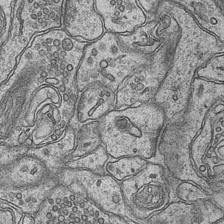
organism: Mouse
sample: CA1 Hippocampus